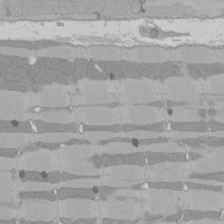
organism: Rat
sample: Left ventricle